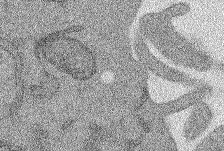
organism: Human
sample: HeLa cells